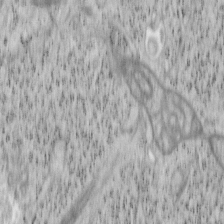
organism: Human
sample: HeLa cells